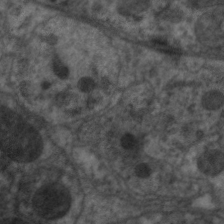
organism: C. elegans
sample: Pharynx